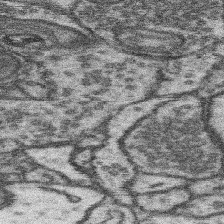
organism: Mouse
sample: Somatosensory cortex neuropil